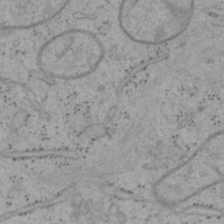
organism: Human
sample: HeLa cells